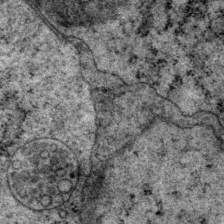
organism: P. pacificus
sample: Pharynx